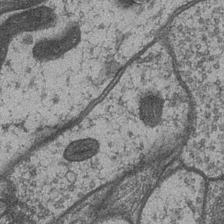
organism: Drosophila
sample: Optic medulla